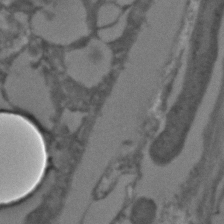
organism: C. elegans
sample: C. elegans embryo